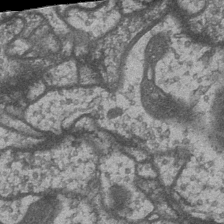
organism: Drosophila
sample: Optic medulla